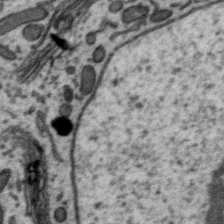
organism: Zebra finch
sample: Brain